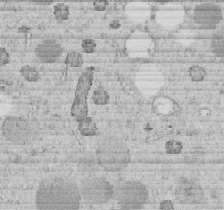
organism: C. elegans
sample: C. elegans embryo early stage